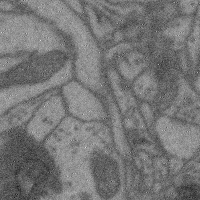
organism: Mouse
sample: Cerebral cortex